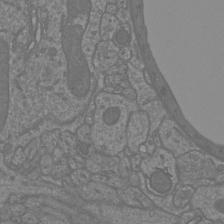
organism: Mouse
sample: Cortical neurons